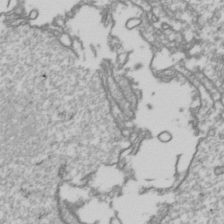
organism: Drosophila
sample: Cell division; meiosis; drosophila spermatocytes